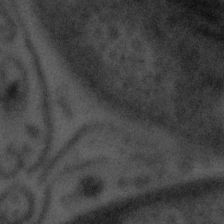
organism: Tuwongella immobilis